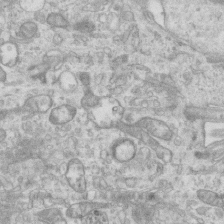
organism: Mouse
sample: Centriole in ependymal cells